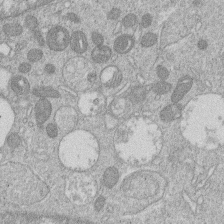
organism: Human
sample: Macrophage cells